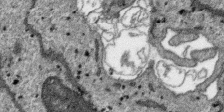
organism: Human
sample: Lung epithelial cells, uninfected (mock) control